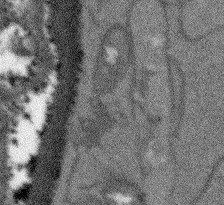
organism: Arabidopsis thaliana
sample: Root tip